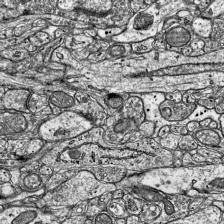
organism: Mouse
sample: Visual Cortex